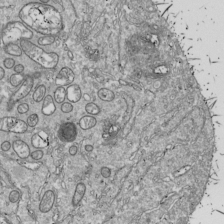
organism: Drosophila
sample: Cell division; meiosis; drosophila spermatocytes